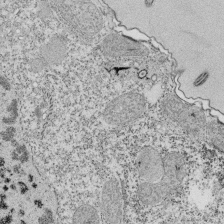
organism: Tetrahymena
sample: Cilia in tetrahymena